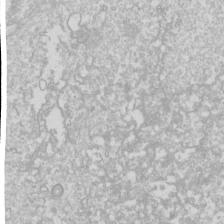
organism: Drosophila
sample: Cell division; meiosis; drosophila spermatocytes